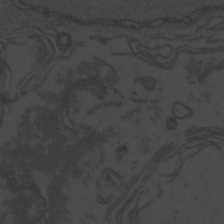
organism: Zebrafish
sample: Macrophage infected with Toxoplasma gondii